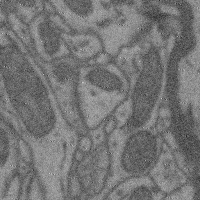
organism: Mouse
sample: Cerebral cortex